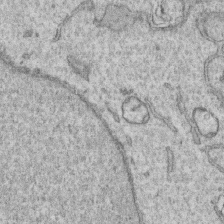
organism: Human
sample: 1205lu cells